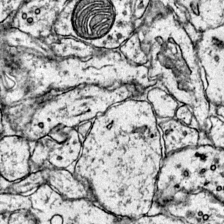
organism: Mouse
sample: Primary visual cortex